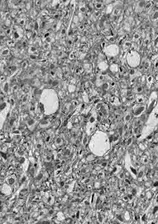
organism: Drosophila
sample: Optic lobe